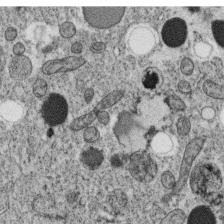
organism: C. elegans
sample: C. elegans oocyte; sperm cells